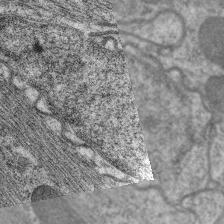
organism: C. elegans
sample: Pharynx